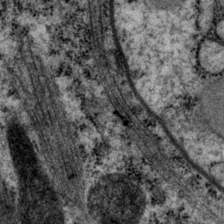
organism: P. pacificus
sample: Pharynx